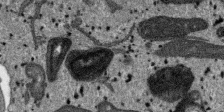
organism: Human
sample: Lung epithelial cells, uninfected (mock) control